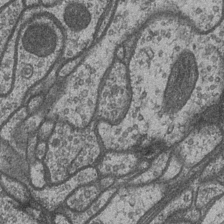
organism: Drosophila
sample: Optic medulla